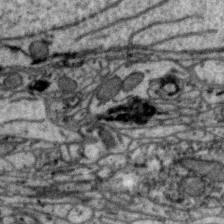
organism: Zebra finch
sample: Brain